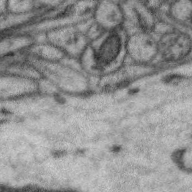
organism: Zebra finch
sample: Brain